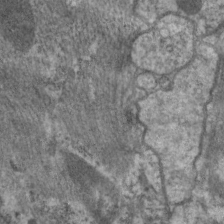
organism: C. elegans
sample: Pharynx